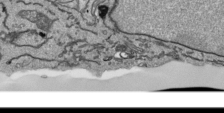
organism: Human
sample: Mitochondria in HCT116 cells